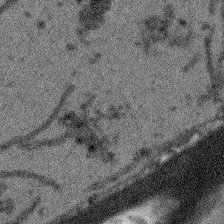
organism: Arabidopsis thaliana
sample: Root tip